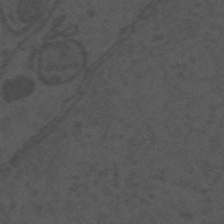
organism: Mouse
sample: Suprachiasmatic nucleus